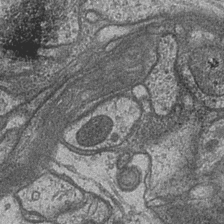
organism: Drosophila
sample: Optic medulla